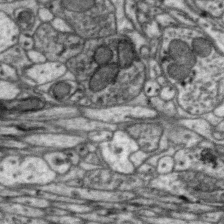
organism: Zebra finch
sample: Brain